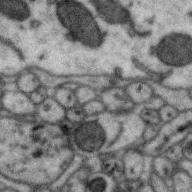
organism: Zebra finch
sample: Brain